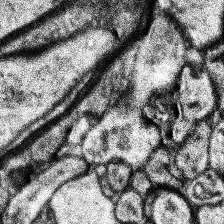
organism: Human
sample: Temporal Lobe